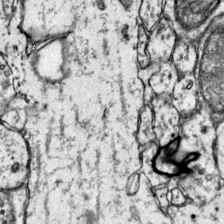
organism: Mouse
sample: Primary visual cortex